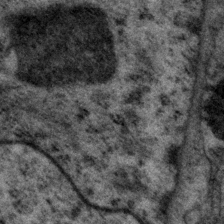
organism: P. pacificus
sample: Pharynx